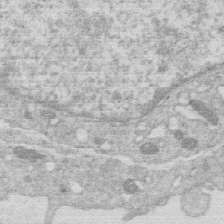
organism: Human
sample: Macrophage cells